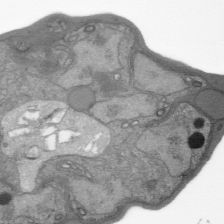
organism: Plasmodium falciparum